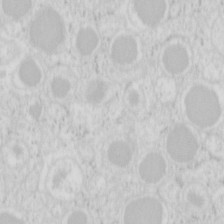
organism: Mouse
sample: Pancreas